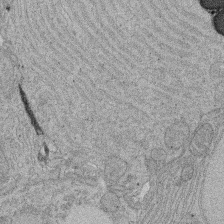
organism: Rat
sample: Salivary granule